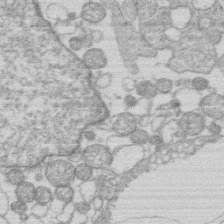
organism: Human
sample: Macrophage cells